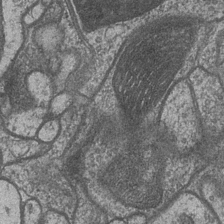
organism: Drosophila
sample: Optic medulla